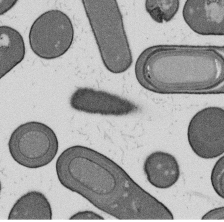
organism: B. subtilis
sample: Bacterial spore